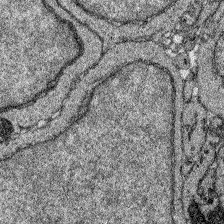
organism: Zebrafish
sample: Larval olfactory bulb